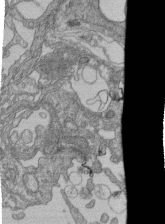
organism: Human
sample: Retinal organoid Rod and Cone cells